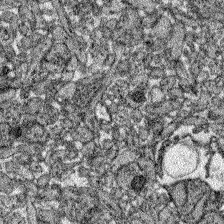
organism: Zebrafish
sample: Larval olfactory bulb